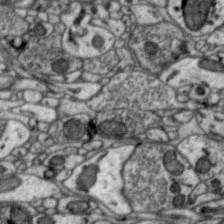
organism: Zebra finch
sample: Brain